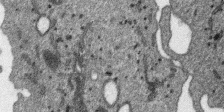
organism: Human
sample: Lung epithelial cells infected with SARS-CoV-2